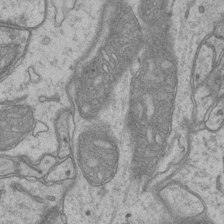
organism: Mouse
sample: CA1 Hippocampus